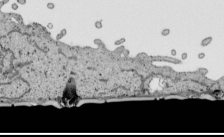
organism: Human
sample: Mitochondria in HCT116 cells